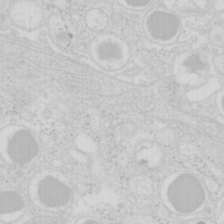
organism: Mouse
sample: Pancreas